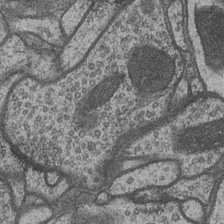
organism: Drosophila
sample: Optic medulla